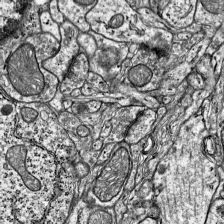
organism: Mouse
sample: Visual Cortex